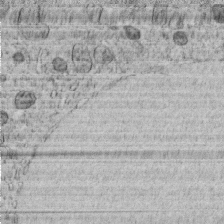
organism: C. elegans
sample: C. elegans embryo early stage